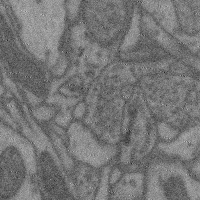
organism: Mouse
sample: Cerebral cortex